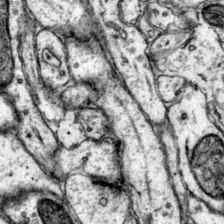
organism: Mouse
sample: Primary visual cortex